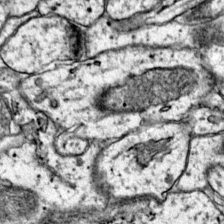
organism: Mouse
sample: Primary visual cortex